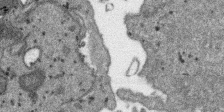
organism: Human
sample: Lung epithelial cells infected with SARS-CoV-2